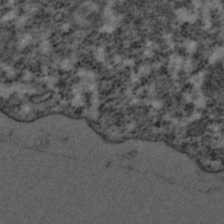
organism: C. elegans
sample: C. elegans embryo